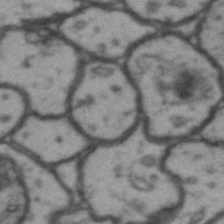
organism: Drosophila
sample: Brain